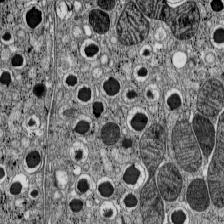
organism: C57BL Mouse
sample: Pancreatic islet